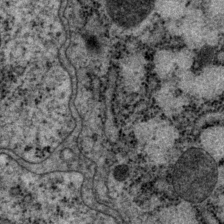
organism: P. pacificus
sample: Pharynx